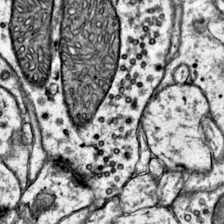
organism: Mouse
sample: Primary visual cortex